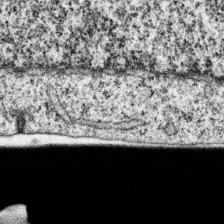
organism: Human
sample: HeLa cells